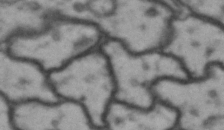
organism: Drosophila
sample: Brain